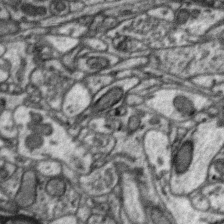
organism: Zebra finch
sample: Brain